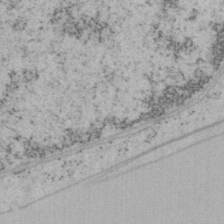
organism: Human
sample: HeLa cells